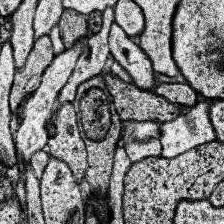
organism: Human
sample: Temporal Lobe